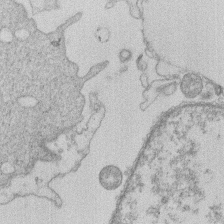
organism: Human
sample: Macrophage cells